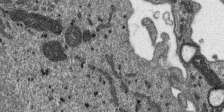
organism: Human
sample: Lung epithelial cells infected with SARS-CoV-2